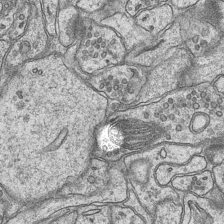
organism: Mouse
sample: CA1 Hippocampus